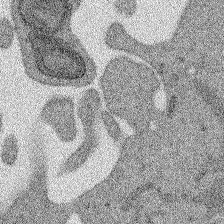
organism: Human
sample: HeLa cells